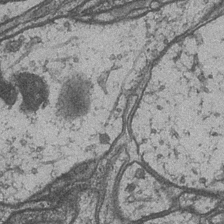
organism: Drosophila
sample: Optic medulla